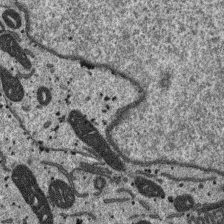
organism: Human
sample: Lung epithelial cells infected with SARS-CoV-2